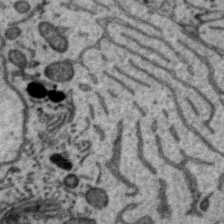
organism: Zebra finch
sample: Brain